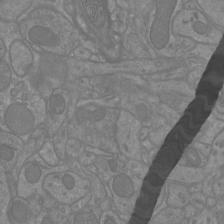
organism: Mouse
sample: Cortical neurons